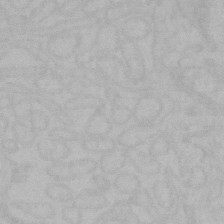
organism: Mouse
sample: Choroid plexus